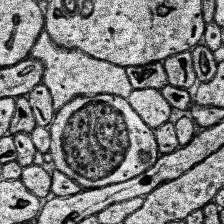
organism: Human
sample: Temporal Lobe